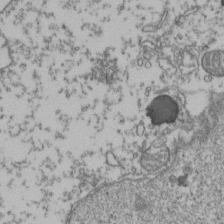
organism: Human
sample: Activated Jurkat CD4+ T cells